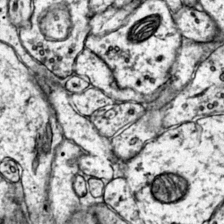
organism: Mouse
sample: Primary visual cortex